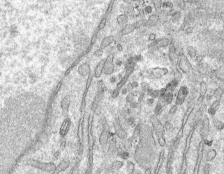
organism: Mouse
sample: Mouse hepatocytes